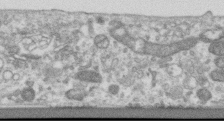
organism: Human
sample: Centriole in RPE cells